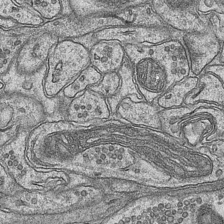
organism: Mouse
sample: CA1 Hippocampus